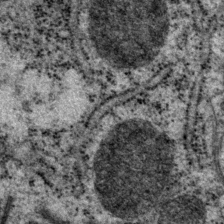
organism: P. pacificus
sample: Pharynx